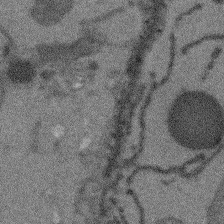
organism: Arabidopsis thaliana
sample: Root tip